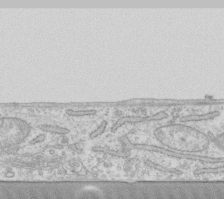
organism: Human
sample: Fibroblast cells